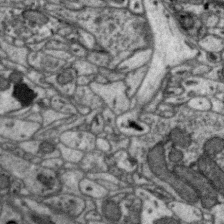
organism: Zebra finch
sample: Brain